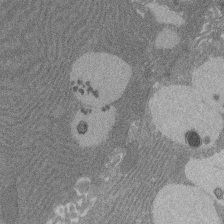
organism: Rat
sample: Salivary granule